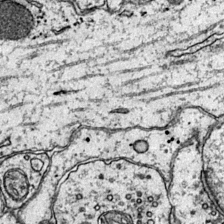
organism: Mouse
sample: Primary visual cortex